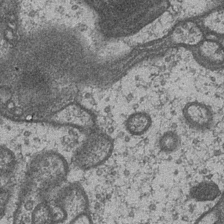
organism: Drosophila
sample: Optic medulla